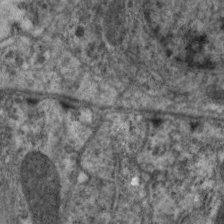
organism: C. elegans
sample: Pharynx